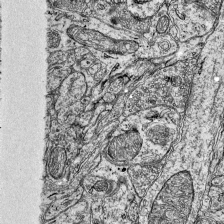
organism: Mouse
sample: Visual Cortex